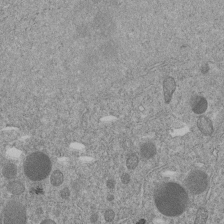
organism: C. elegans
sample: C. elegans embryo early stage